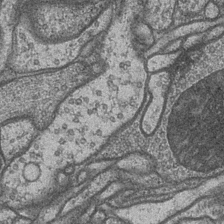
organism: Drosophila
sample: Optic medulla